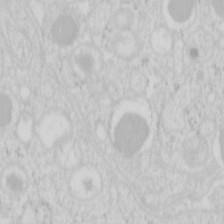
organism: Mouse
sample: Pancreas